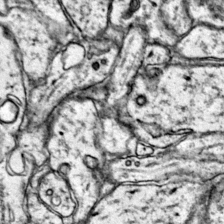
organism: Mouse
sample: Primary visual cortex